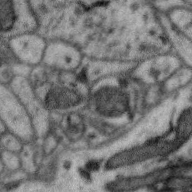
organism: Zebra finch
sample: Brain